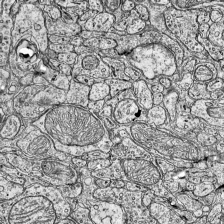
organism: Mouse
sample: Visual Cortex